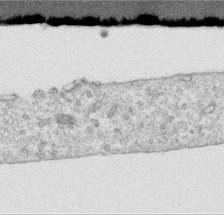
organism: Human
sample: Centriole in RPE cells